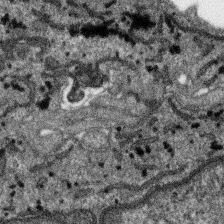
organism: Human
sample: Lung epithelial cells infected with SARS-CoV-2